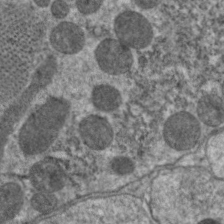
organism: C. elegans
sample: Pharynx